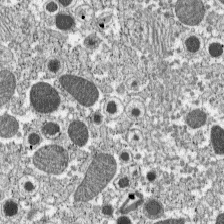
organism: C57BL Mouse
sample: Pancreatic islet